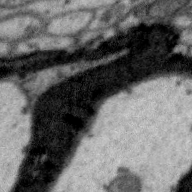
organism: Zebra finch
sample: Brain